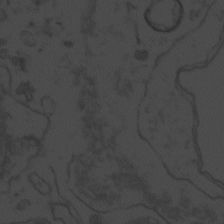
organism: Zebrafish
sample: Macrophage infected with Toxoplasma gondii